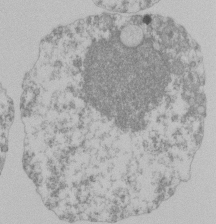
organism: Mouse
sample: Activated Pmel transgenic CD8+ T Cells